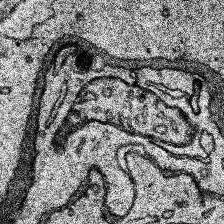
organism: Human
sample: Temporal Lobe